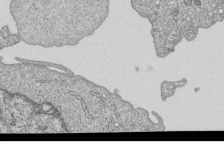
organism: Human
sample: MDA-MB-231 cells